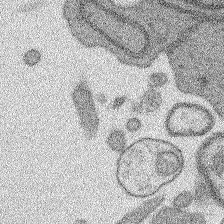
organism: Human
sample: HeLa cells